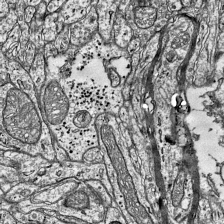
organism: Mouse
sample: Visual Cortex